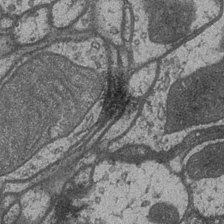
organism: Drosophila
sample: Optic medulla